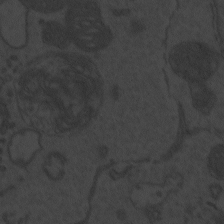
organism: Zebrafish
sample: Macrophage infected with Toxoplasma gondii